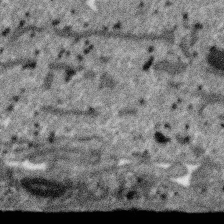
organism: Human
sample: Lung epithelial cells infected with SARS-CoV-2